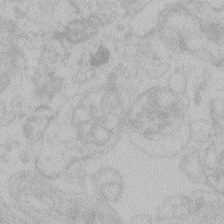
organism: Zebrafish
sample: Macrophage infected with Toxoplasma gondii